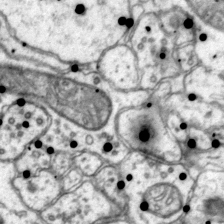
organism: Mouse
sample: Primary visual cortex